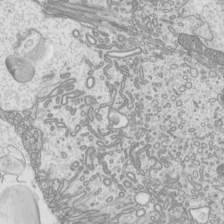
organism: Mouse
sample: Cilia; mouse epididymis